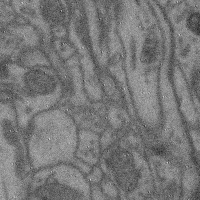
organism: Mouse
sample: Cerebral cortex